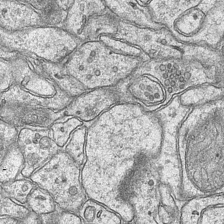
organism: Mouse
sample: CA1 Hippocampus